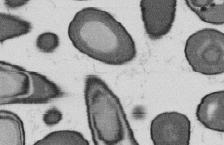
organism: B. subtilis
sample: Bacterial spore